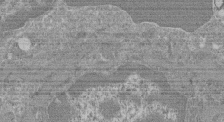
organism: Mouse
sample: Glomerulus